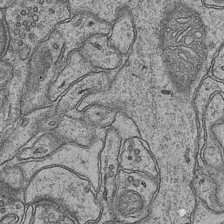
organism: Mouse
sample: CA1 Hippocampus